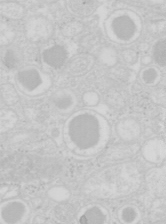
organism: Mouse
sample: Pancreas